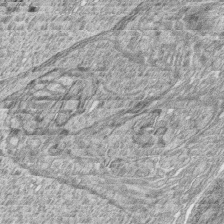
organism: Zebrafish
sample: synaptic ribbons in rod cells and cone cells